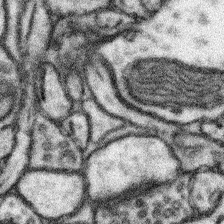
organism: Mouse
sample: Somatosensory cortex neuropil